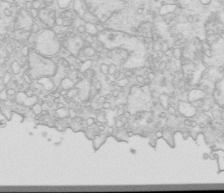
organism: Mouse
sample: Multiciliated cells